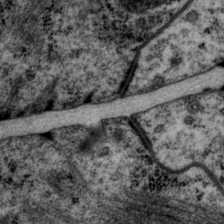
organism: P. pacificus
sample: Pharynx